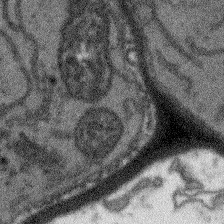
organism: Arabidopsis thaliana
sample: Root tip